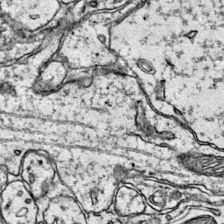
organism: Mouse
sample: Primary visual cortex